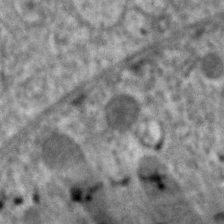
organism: C. elegans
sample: Pharynx